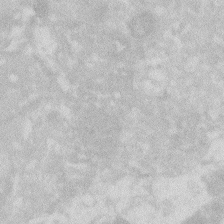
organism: Zebrafish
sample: Macrophage